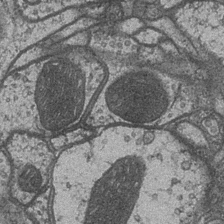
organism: Drosophila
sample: Optic medulla